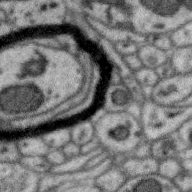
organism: Zebra finch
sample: Brain